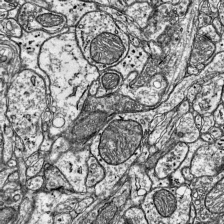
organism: Mouse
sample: Visual Cortex